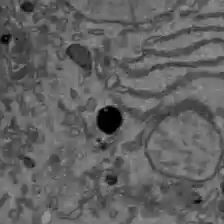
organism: C57BL Mouse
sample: Liver